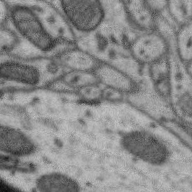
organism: Zebra finch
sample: Brain